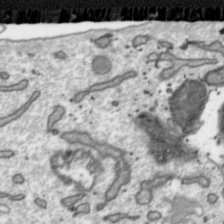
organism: Toxoplasma gondii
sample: Parasites in a vacuole inside a host cell